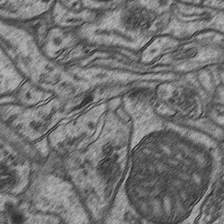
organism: Mouse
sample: CA1 Hippocampus